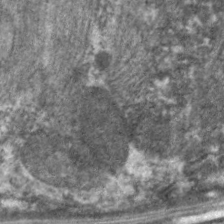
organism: C. elegans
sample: Pharynx